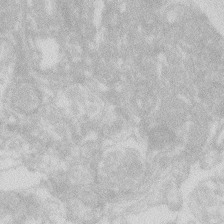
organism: Zebrafish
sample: Macrophage